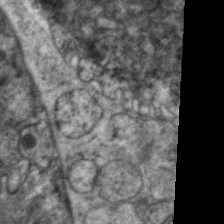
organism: C. elegans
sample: Pharynx